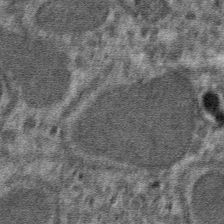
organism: Mouse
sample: Mouse hepatocytes